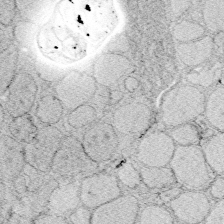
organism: Zebrafish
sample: Whole-Brain